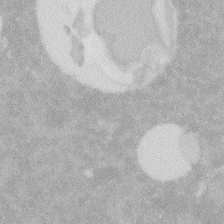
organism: Zebrafish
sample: Macrophage